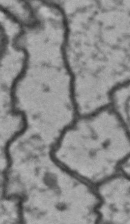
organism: Drosophila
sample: Brain